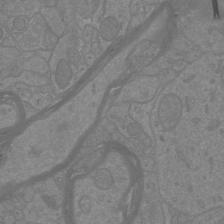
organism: Mouse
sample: Cortical neurons